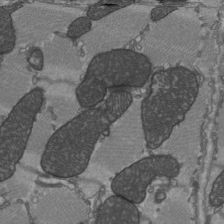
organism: C57BL Mouse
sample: Heart